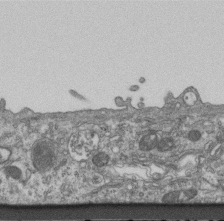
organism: Mouse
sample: Centriole in ependymal cells